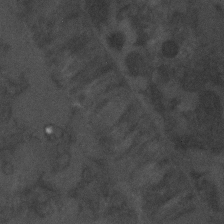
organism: C. elegans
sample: C. elegans embryo